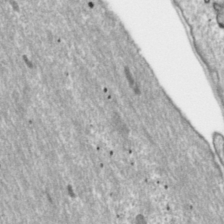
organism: Toxoplasma gondii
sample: Parasites in a vacuole inside a host cell